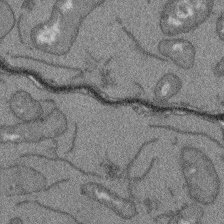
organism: Arabidopsis thaliana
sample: Root tip